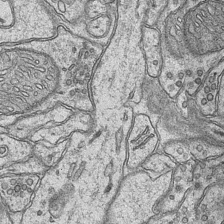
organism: Mouse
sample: CA1 Hippocampus